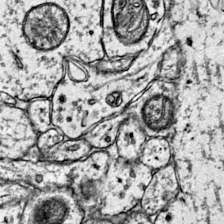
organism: Mouse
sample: Primary visual cortex